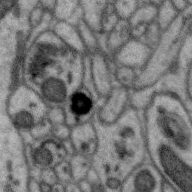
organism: Zebra finch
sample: Brain